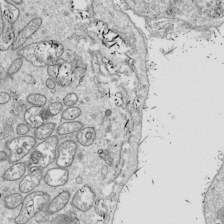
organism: Drosophila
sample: Cell division; meiosis; drosophila spermatocytes